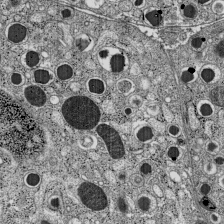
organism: C57BL Mouse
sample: Pancreatic islet